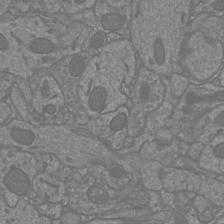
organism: Mouse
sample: Cortical neurons